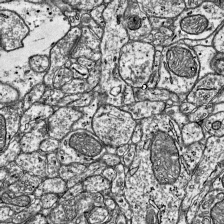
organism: Mouse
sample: Visual Cortex